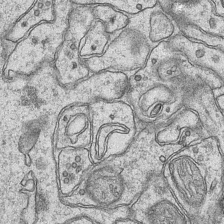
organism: Mouse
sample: CA1 Hippocampus